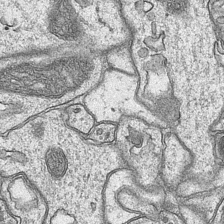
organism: Mouse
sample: CA1 Hippocampus